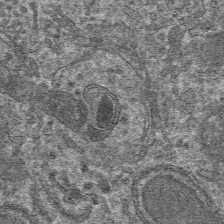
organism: Mouse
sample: Mouse hepatocytes